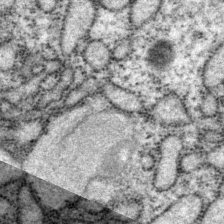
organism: P. pacificus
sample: Pharynx